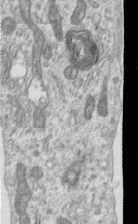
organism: Human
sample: Centriole in RPE cells